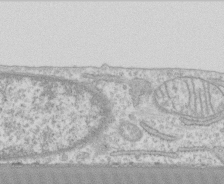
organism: Human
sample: CRL-1474